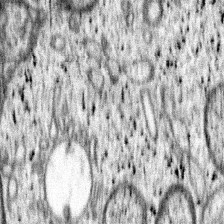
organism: Human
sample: HeLa cells